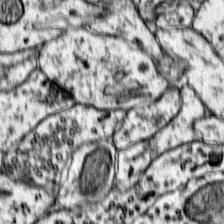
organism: Mouse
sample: Primary visual cortex